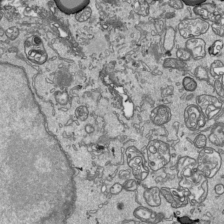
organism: Human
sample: Mitochondria in HCT116 cells